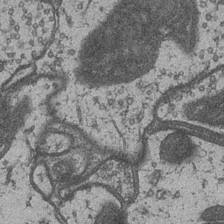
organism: Drosophila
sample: Optic medulla